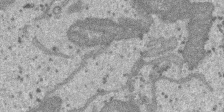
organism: Human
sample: Lung epithelial cells infected with SARS-CoV-2